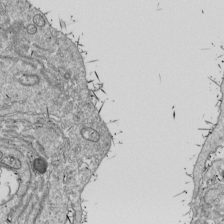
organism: Drosophila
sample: Cell division; meiosis; drosophila spermatocytes